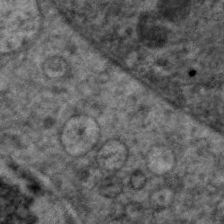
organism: C. elegans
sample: Pharynx